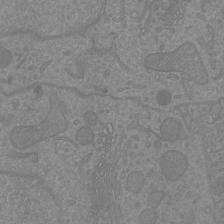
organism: Mouse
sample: Cortical neurons